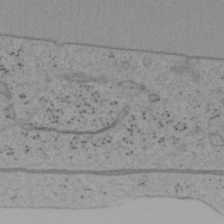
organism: Human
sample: HeLa cells